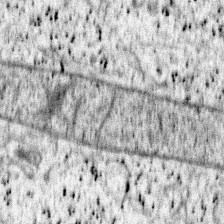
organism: Human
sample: HeLa cells